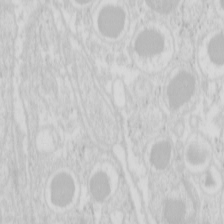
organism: Mouse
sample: Pancreas